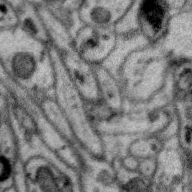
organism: Zebra finch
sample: Brain